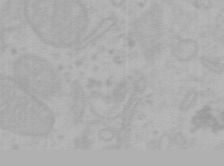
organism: Mouse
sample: Choroid plexus